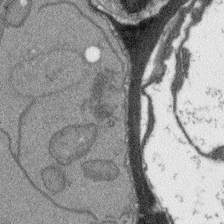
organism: Arabidopsis thaliana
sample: Root tip